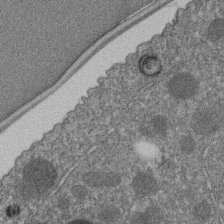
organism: C. elegans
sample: C. elegans embryo early stage